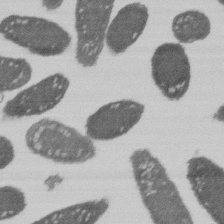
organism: E. coli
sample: Bacterial nucleoid